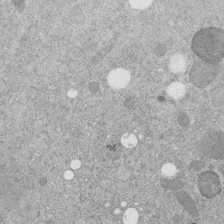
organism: C. elegans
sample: C. elegans embryo early stage